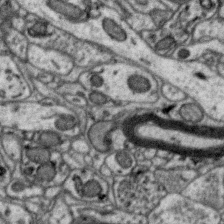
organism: Zebra finch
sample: Brain